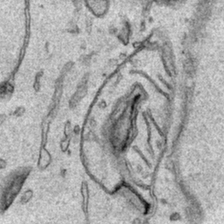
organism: Human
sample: Mitochondria in HCT116 cells